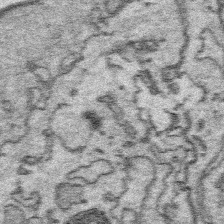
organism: Platynereis dumerilii